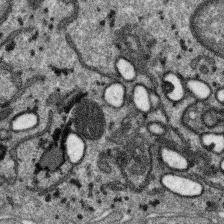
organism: Human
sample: Lung epithelial cells infected with SARS-CoV-2